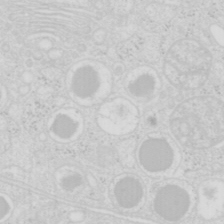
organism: Mouse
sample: Pancreas